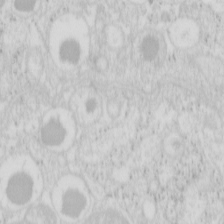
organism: Mouse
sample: Pancreas